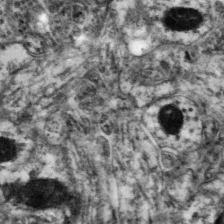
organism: Mouse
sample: Neocortex